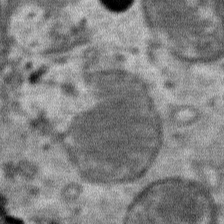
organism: Mouse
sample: Mouse Salivary gland